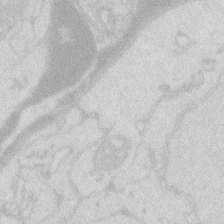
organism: Zebrafish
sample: Macrophage